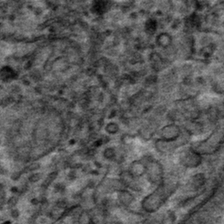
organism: Mouse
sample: Mouse hepatocytes